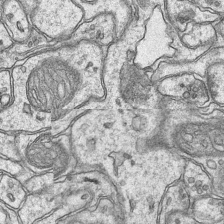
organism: Mouse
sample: CA1 Hippocampus